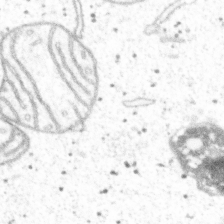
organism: Human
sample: HeLa cells